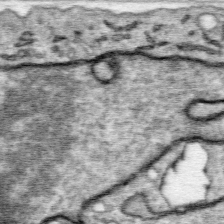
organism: Human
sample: HeLa cells